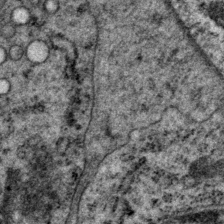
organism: P. pacificus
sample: Pharynx